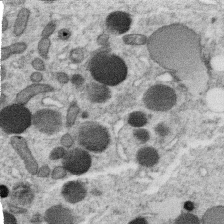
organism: C. elegans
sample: C. elegans oocyte; sperm cells